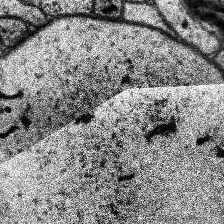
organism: Human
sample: Temporal Lobe